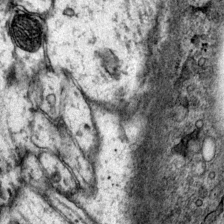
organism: Mouse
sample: Primary visual cortex